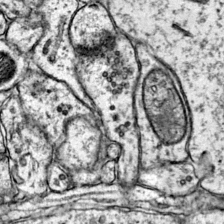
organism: Mouse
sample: Primary visual cortex